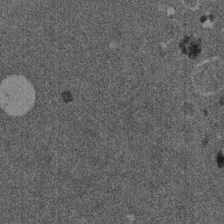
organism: Mouse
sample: Dividing mouse embryo 1 cell stage